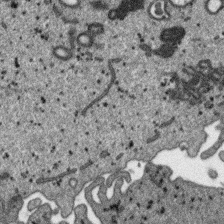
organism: Human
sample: Lung epithelial cells infected with SARS-CoV-2